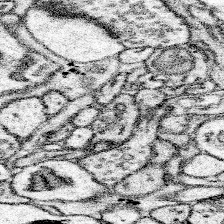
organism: Mouse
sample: Somatosensory cortex neuropil